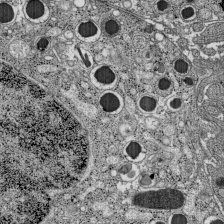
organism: C57BL Mouse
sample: Pancreatic islet